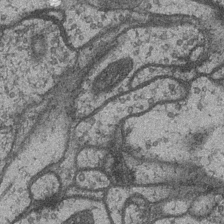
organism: Drosophila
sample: Optic medulla